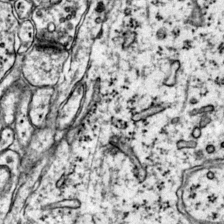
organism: Mouse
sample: Primary visual cortex